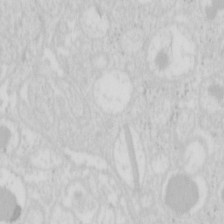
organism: Mouse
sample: Pancreas